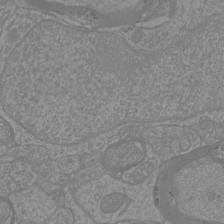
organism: Mouse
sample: Cortical neurons